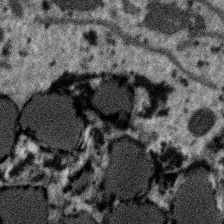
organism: Human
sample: Lung epithelial cells infected with SARS-CoV-2